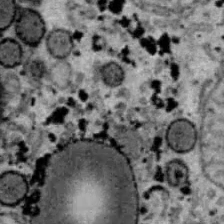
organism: Mouse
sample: Liver from an obese (ob/ob) mouse